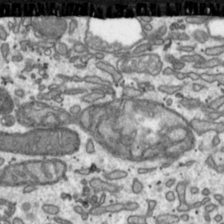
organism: Toxoplasma gondii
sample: Parasites in a vacuole inside a host cell